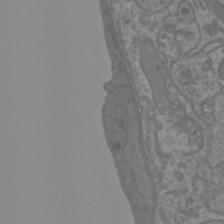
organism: Mouse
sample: Cortical neurons